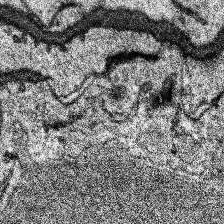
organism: Human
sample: Temporal Lobe